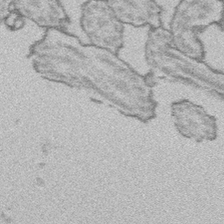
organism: Platynereis dumerilii